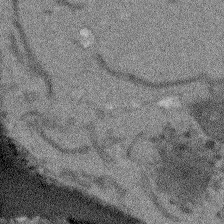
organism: Arabidopsis thaliana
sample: Root tip